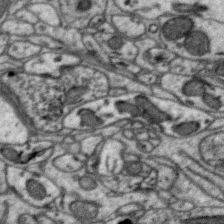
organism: Zebra finch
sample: Brain